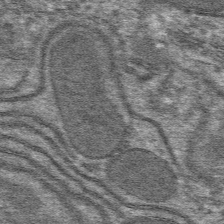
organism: Mouse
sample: Mouse hepatocytes